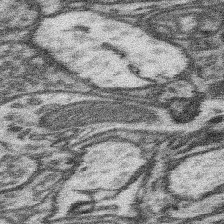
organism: Mouse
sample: Somatosensory cortex neuropil